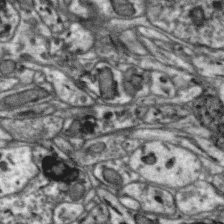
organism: Zebra finch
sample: Brain